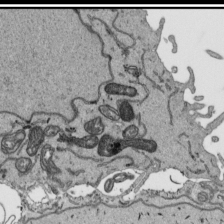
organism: Human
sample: Mitochondria in HCT116 cells